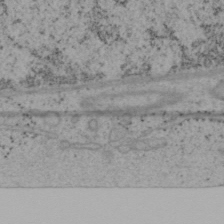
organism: Human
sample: HeLa cells